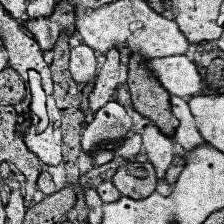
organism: Human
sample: Temporal Lobe